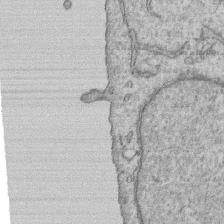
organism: Human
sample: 1205lu cells